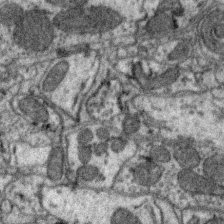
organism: Zebra finch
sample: Brain